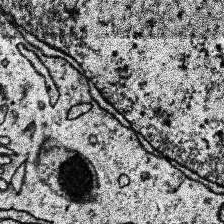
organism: Human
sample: Temporal Lobe